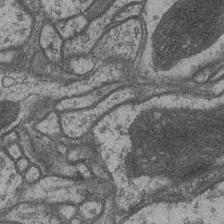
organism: Drosophila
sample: Optic medulla